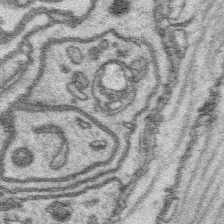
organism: Platynereis dumerilii